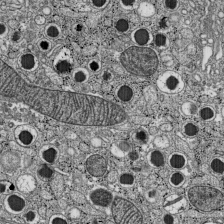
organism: C57BL Mouse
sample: Pancreatic islet